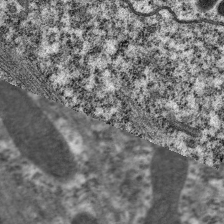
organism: C. elegans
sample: Pharynx